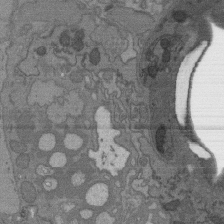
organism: C. elegans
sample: AFD neurons C. elegans